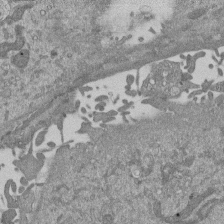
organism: Mouse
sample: ED-1 cell nuclei; centrioles